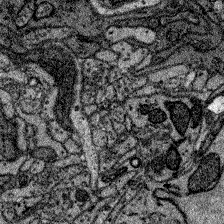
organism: Zebrafish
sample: Larval olfactory bulb